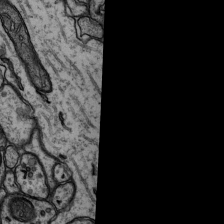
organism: Rat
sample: Hippocampus